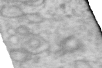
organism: Human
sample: Centriole in RPE cells